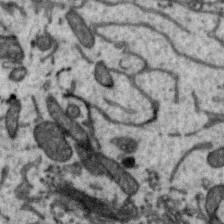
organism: Zebra finch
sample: Brain